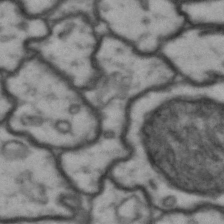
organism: Drosophila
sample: Brain